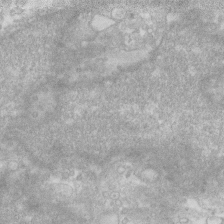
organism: Human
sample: Fibroblast cells